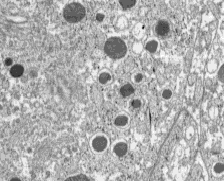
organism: C57BL Mouse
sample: Pancreatic islet